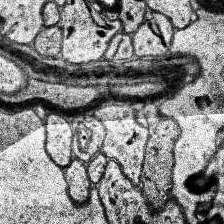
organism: Human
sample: Temporal Lobe